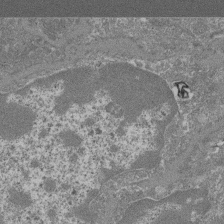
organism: Mouse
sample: Glomerulus